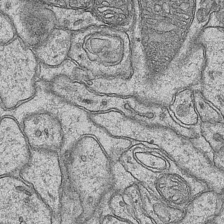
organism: Mouse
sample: CA1 Hippocampus